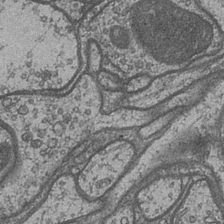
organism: Drosophila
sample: Optic medulla